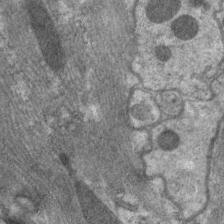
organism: C. elegans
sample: Pharynx